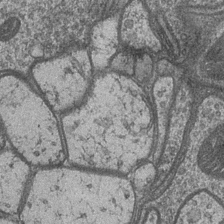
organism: Drosophila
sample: Optic medulla